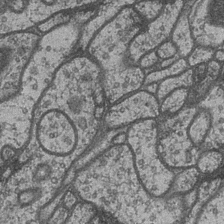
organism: Drosophila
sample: Optic medulla